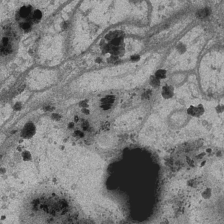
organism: Drosophila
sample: Optic medulla